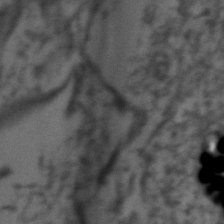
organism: Zebrafish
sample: Zebrafish embryo